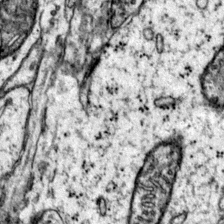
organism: Mouse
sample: Primary visual cortex